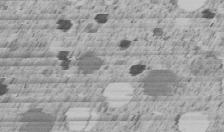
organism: C. elegans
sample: C. elegans embryo early stage